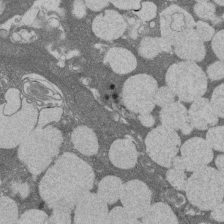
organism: Rat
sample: Salivary granule